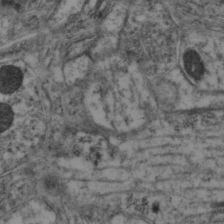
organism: Mouse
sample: Neocortex